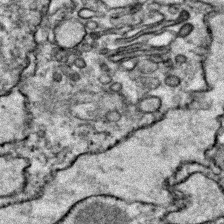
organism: Zebrafish